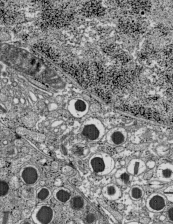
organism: C57BL Mouse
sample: Pancreatic islet